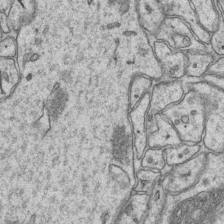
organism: Mouse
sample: CA1 Hippocampus